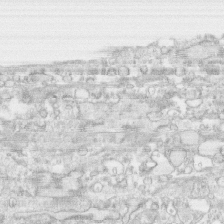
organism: Human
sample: CRL-1474